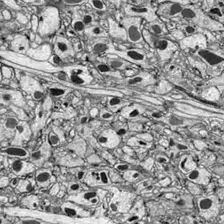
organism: Drosophila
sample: Optic lobe